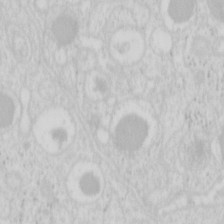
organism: Mouse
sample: Pancreas